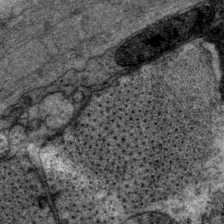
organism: P. pacificus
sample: Pharynx